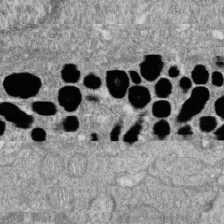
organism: Zebrafish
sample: Cilia; retinal pigment epithelium